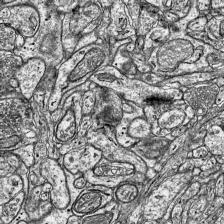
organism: Mouse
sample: Visual Cortex